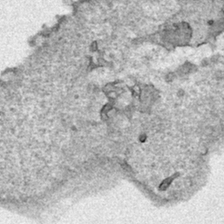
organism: Human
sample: Mitochondria in HCT116 cells